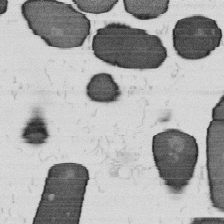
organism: B. subtilis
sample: Bacterial spore